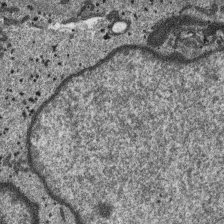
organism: Human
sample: Lung epithelial cells infected with SARS-CoV-2